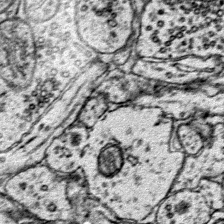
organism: Mouse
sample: Primary visual cortex